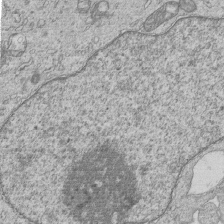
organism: Human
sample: MDA-MB-231 cells